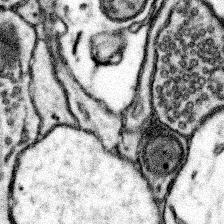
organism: Mouse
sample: Somatosensory cortex neuropil